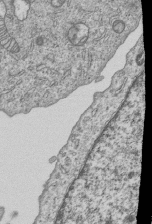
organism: Human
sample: MDA-MB-231 cells